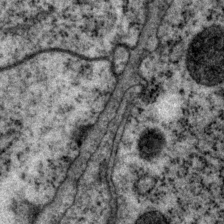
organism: P. pacificus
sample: Pharynx